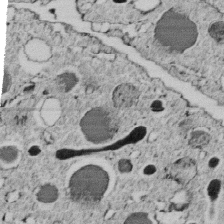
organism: C. elegans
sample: C. elegans embryo early stage